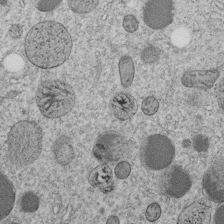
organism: C. elegans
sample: C. elegans embryo early stage